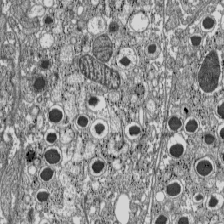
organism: C57BL Mouse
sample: Pancreatic islet